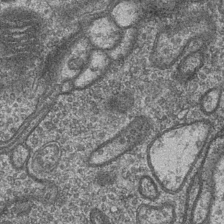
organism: Drosophila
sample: Optic medulla